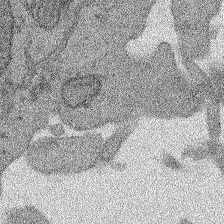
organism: Human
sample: HeLa cells